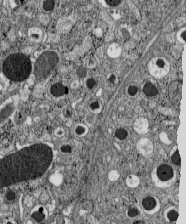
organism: C57BL Mouse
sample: Pancreatic islet